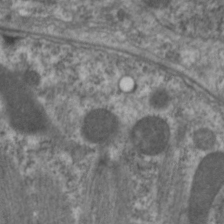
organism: C. elegans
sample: Pharynx